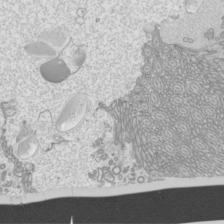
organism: Mouse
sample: Cilia; mouse epididymis